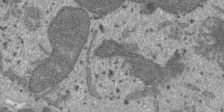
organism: Human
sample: Lung epithelial cells infected with SARS-CoV-2